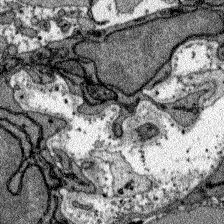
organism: Zebrafish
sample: Larval olfactory bulb